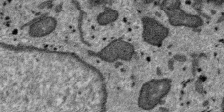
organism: Human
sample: Lung epithelial cells, uninfected (mock) control